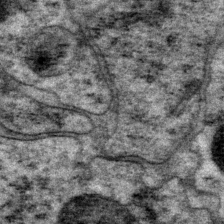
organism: P. pacificus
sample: Pharynx